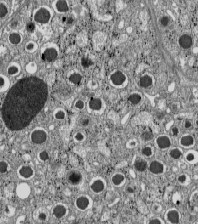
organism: C57BL Mouse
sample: Pancreatic islet